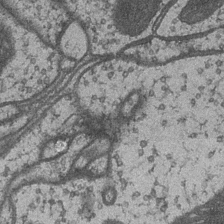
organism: Drosophila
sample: Optic medulla